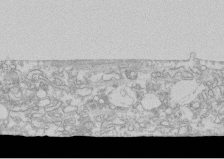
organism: Human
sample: CRL-1474